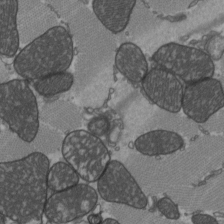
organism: C57BL Mouse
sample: Heart